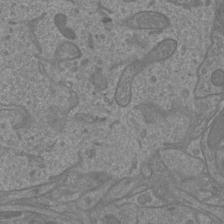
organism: Mouse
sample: Cortical neurons